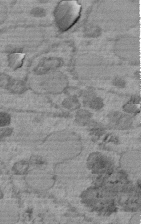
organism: C. elegans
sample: C. elegans embryo early stage